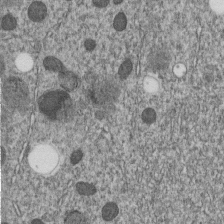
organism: C. elegans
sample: C. elegans embryo early stage